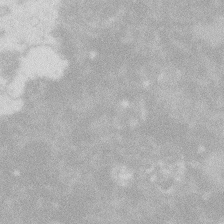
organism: Zebrafish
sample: Macrophage